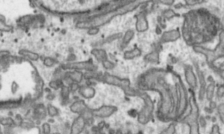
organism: Toxoplasma gondii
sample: Parasites in a vacuole inside a host cell